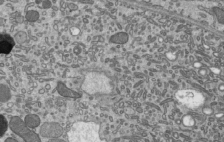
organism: Mouse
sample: Mouse epididymis efferent ductule cilia